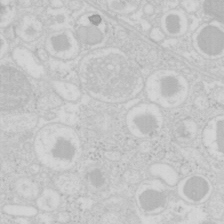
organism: Mouse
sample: Pancreas